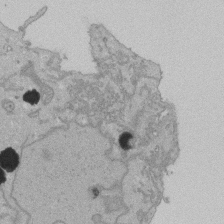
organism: Human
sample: Activated Jurkat CD4+ T cells